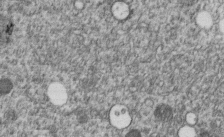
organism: C. elegans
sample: C. elegans embryo early stage